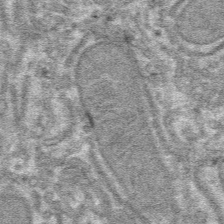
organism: Mouse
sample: Mouse hepatocytes